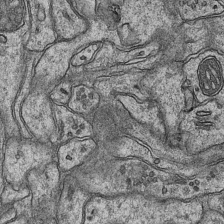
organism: Mouse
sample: CA1 Hippocampus